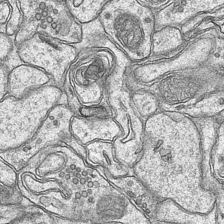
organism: Mouse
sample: CA1 Hippocampus